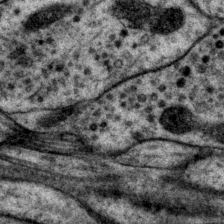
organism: P. pacificus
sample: Pharynx